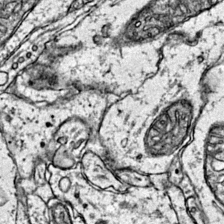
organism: Mouse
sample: Primary visual cortex